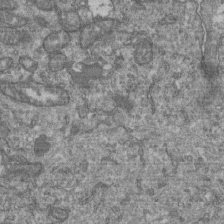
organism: Human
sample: Retinal organoid Rod and Cone cells